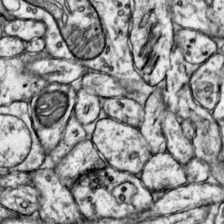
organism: Mouse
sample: Primary visual cortex